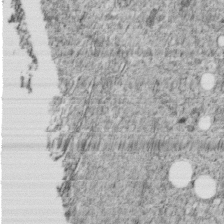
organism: C. elegans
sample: C. elegans embryo early stage